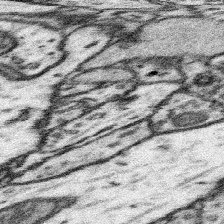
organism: Mouse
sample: Somatosensory cortex neuropil